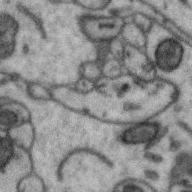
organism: Zebra finch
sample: Brain